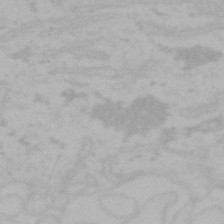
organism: Mouse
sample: Choroid plexus